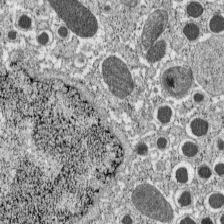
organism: C57BL Mouse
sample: Pancreatic islet